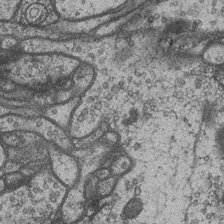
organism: Drosophila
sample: Optic medulla